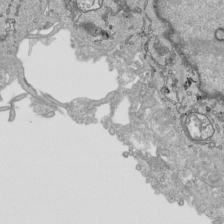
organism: Human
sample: Mitochondria in HCT116 cells